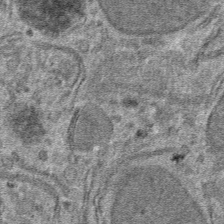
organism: Mouse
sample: Mouse hepatocytes